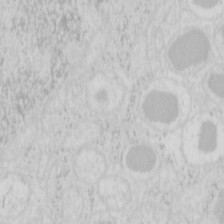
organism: Mouse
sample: Pancreas